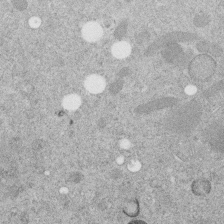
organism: C. elegans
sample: C. elegans embryo early stage